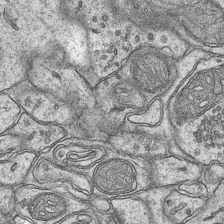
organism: Mouse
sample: CA1 Hippocampus